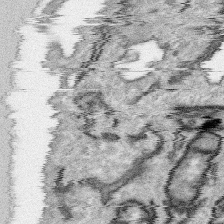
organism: Human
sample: HeLa cells